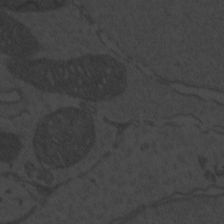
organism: Zebrafish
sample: Macrophage infected with Toxoplasma gondii